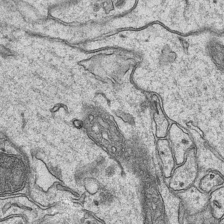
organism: Mouse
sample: CA1 Hippocampus